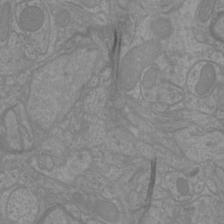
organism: Mouse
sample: Cortical neurons